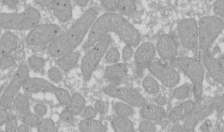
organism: Xenopus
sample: Cilia; centrioles in frog embryo cells